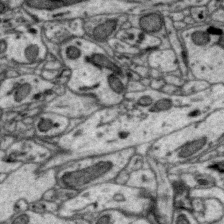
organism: Zebra finch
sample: Brain